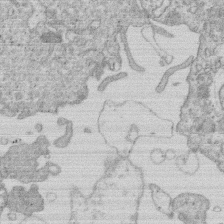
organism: Human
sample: Macrophage cells